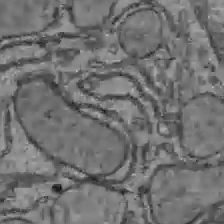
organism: C57BL Mouse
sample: Liver